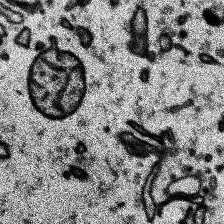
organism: Human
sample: Temporal Lobe